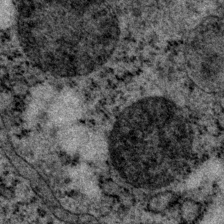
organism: P. pacificus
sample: Pharynx